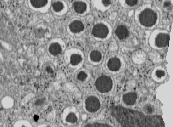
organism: C57BL Mouse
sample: Pancreatic islet